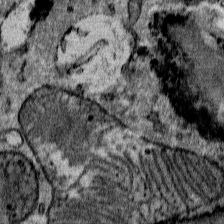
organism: Mouse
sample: Mouse Salivary gland